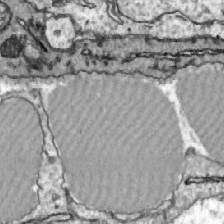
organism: Zebrafish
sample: Actinotrichia fibers